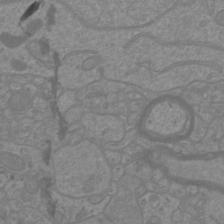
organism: Mouse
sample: Cortical neurons